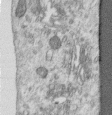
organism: Human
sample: Centriole in RPE cells